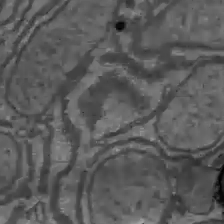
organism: C57BL Mouse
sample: Liver